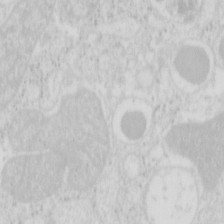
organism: Mouse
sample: Pancreas